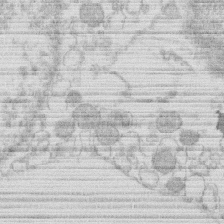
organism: Human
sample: Macrophage cells